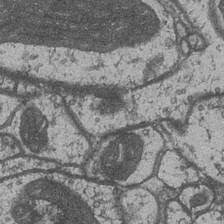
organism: Drosophila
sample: Optic medulla